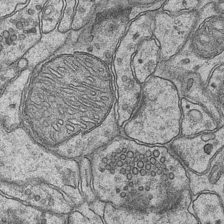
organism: Mouse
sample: CA1 Hippocampus